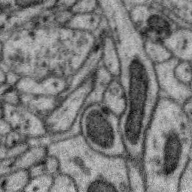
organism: Zebra finch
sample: Brain